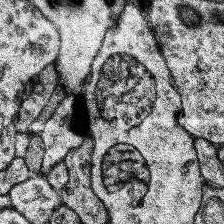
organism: Human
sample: Temporal Lobe